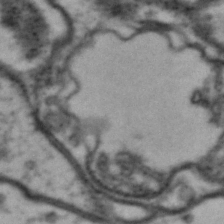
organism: Drosophila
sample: Brain